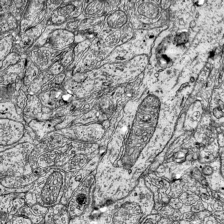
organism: Mouse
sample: Visual Cortex